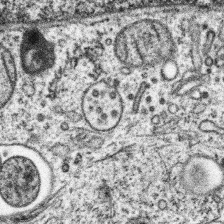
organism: Human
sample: HeLa cells